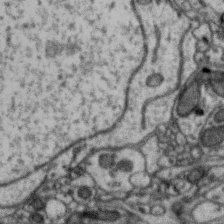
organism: Zebra finch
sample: Brain